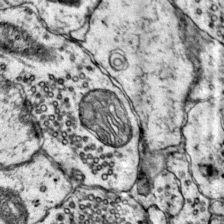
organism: Mouse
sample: Primary visual cortex